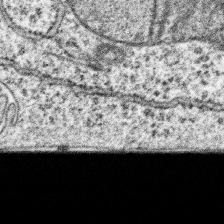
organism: Human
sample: HeLa cells